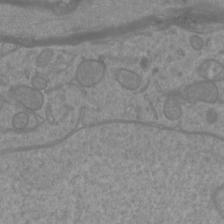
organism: Mouse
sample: Cortical neurons